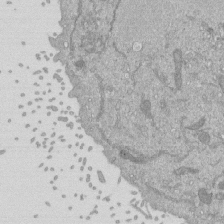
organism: Mouse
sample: ED-1 cell nuclei; centrioles